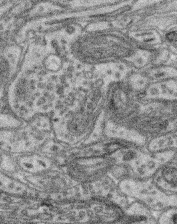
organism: Mouse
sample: Retina